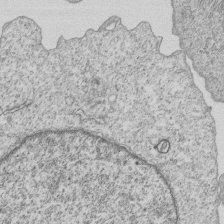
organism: Human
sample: MDA-MB-231 cells